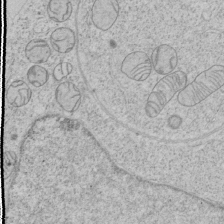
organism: Human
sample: Mitochondria in HCT116 cells